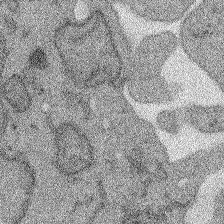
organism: Human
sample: HeLa cells